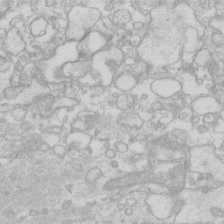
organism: Human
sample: Fibroblast cells